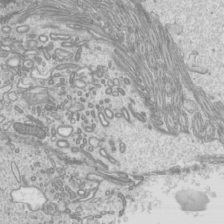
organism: Mouse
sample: Cilia; mouse epididymis